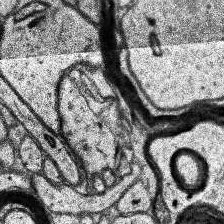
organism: Human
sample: Temporal Lobe